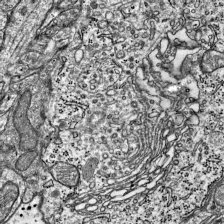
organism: Mouse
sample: Visual Cortex